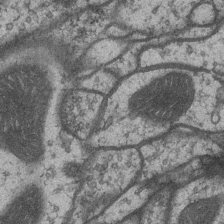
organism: Drosophila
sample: Optic medulla